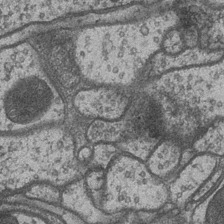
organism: Drosophila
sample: Optic medulla